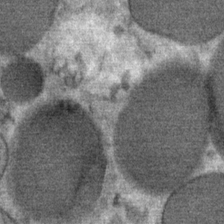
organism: Mouse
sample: Mouse Salivary gland